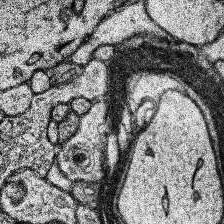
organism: Human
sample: Temporal Lobe